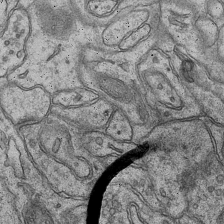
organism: Mouse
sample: CA1 Hippocampus